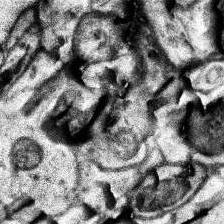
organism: Human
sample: Temporal Lobe